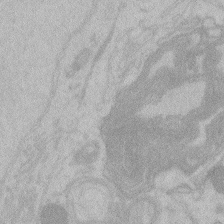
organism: Zebrafish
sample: Macrophage infected with Toxoplasma gondii